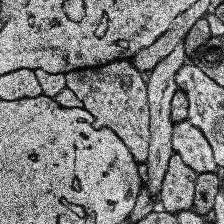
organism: Human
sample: Temporal Lobe